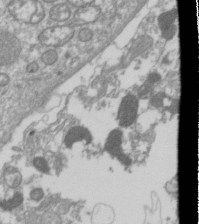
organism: Drosophila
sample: Cell division; meiosis; drosophila spermatocytes